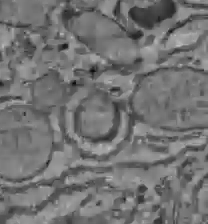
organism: C57BL Mouse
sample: Liver